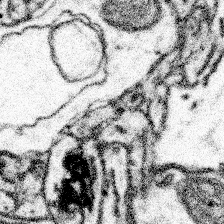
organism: Mouse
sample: Somatosensory cortex neuropil